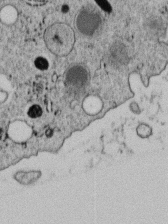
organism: C. elegans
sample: C. elegans embryo early stage